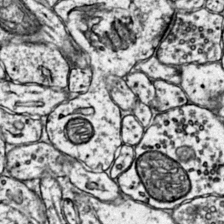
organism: Mouse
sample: Primary visual cortex